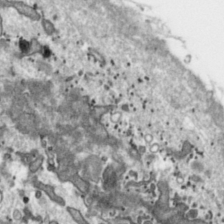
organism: Toxoplasma gondii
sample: Parasites in a vacuole inside a host cell